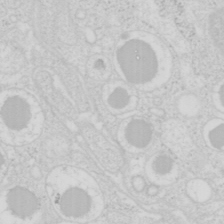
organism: Mouse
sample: Pancreas